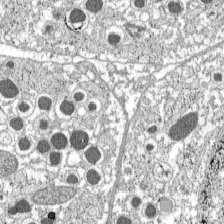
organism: C57BL Mouse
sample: Pancreatic islet